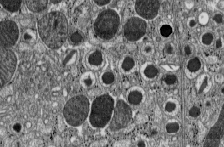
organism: C57BL Mouse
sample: Pancreatic islet